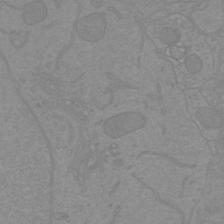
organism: Mouse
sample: Cortical neurons